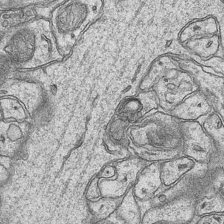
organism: Mouse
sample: CA1 Hippocampus